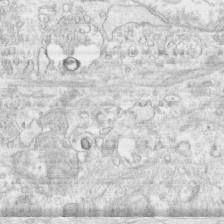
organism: Human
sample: CRL-1474